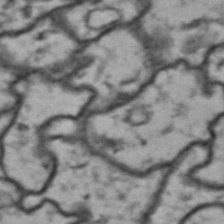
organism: Drosophila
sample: Brain